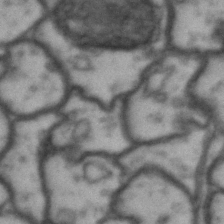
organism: Drosophila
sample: Brain